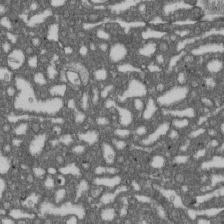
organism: Drosophila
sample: Nephrocyte